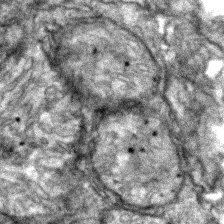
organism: Zebrafish